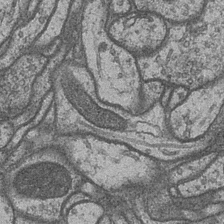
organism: Drosophila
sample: Optic medulla